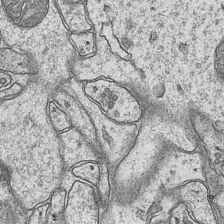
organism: Mouse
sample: CA1 Hippocampus